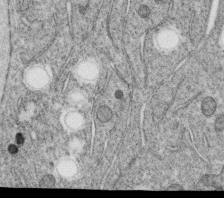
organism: C. elegans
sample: C. elegans oocyte; sperm cells